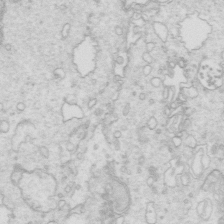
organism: Mouse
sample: Multiciliated cells